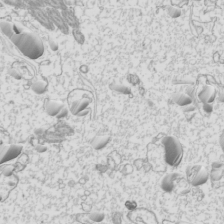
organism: Mouse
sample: Cilia; mouse epididymis